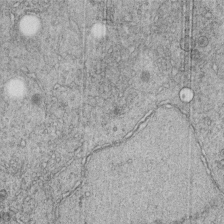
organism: C. elegans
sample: C. elegans embryo early stage